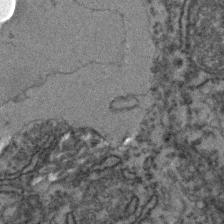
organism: Zebrafish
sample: Zebrafish embryo